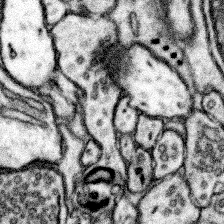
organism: Mouse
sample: Somatosensory cortex neuropil